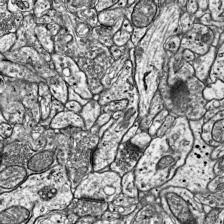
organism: Mouse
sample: Visual Cortex